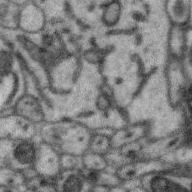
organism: Zebra finch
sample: Brain